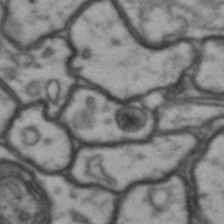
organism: Drosophila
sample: Brain